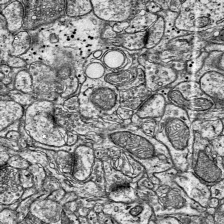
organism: Mouse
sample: Visual Cortex